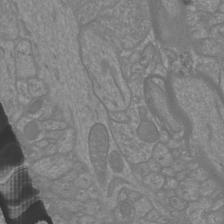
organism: Mouse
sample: Cortical neurons